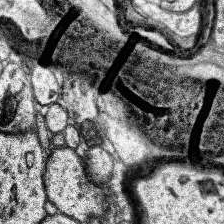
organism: Human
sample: Temporal Lobe